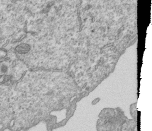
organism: Human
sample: MDA-MB-231 cells